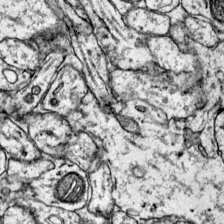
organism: Mouse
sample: Primary visual cortex